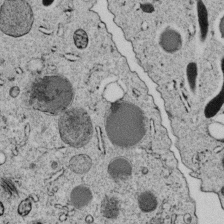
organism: C. elegans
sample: C. elegans embryo early stage